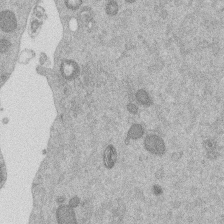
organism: Mouse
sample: Dividing mouse embryo 1 cell stage